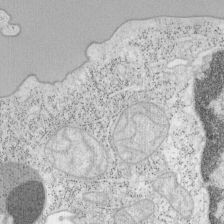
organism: Mouse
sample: OT-I killer T cells with ID8 ovarian cancer cells